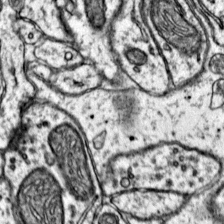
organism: Mouse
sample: Primary visual cortex